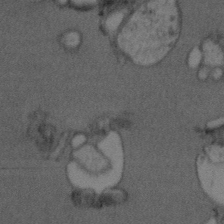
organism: Human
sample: HeLa cells